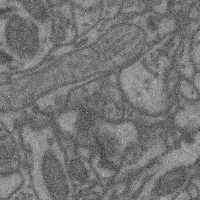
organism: Mouse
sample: Cerebral cortex